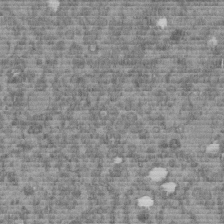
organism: C. elegans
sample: C. elegans embryo early stage